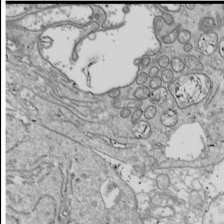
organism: Drosophila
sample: Cell division; meiosis; drosophila spermatocytes